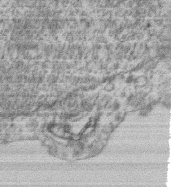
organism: Mouse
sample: T cell stromal cell synapse